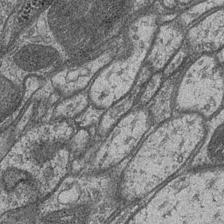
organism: Drosophila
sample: Optic medulla